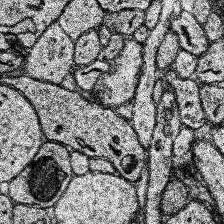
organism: Human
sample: Temporal Lobe